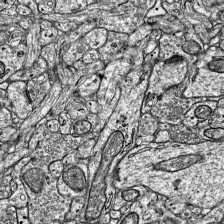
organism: Mouse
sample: Visual Cortex